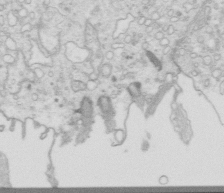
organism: Mouse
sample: Multiciliated cells